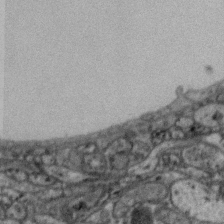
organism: Zebra finch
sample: Brain